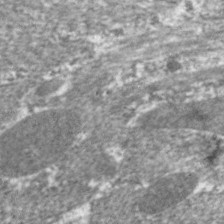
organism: C. elegans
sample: Pharynx